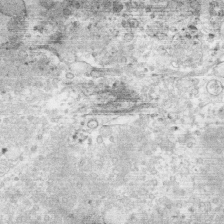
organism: Human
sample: CRL-1474